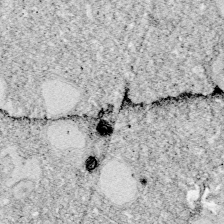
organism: Zebrafish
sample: Whole-Brain